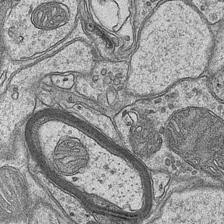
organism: Mouse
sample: CA1 Hippocampus